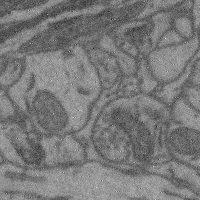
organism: Mouse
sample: Cerebral cortex